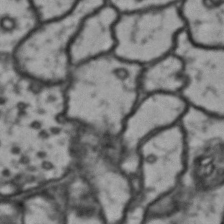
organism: Drosophila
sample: Brain